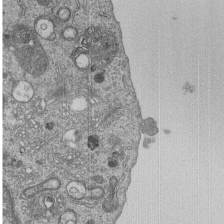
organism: Human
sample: MDA-MB-231 cells